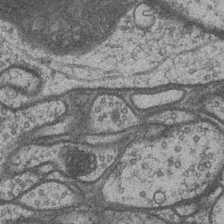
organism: Drosophila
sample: Optic medulla